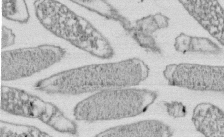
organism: E. coli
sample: Bacterial nucleoid